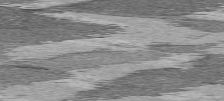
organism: C57BL Mouse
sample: Heart